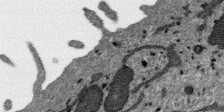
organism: Human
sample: Lung epithelial cells, uninfected (mock) control